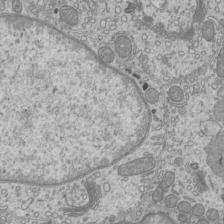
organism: Mouse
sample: Cilia; mouse epididymis